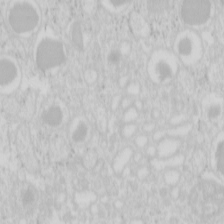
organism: Mouse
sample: Pancreas